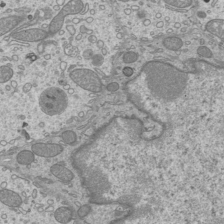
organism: Mouse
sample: Cilia; mouse epididymis